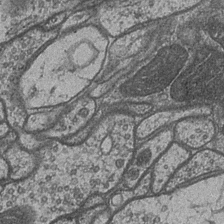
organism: Drosophila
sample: Optic medulla